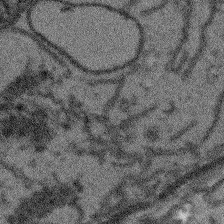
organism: Arabidopsis thaliana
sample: Root tip